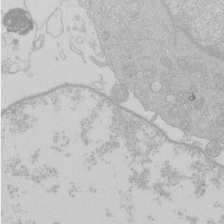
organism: Human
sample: Macrophage cells